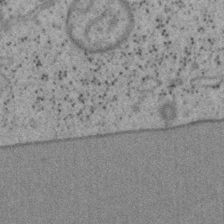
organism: Human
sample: HeLa cells